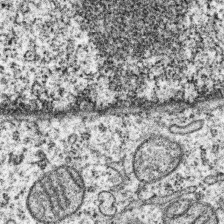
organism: Human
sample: HeLa cells